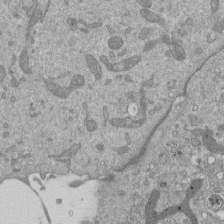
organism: Mouse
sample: ED-1 cell nuclei; centrioles